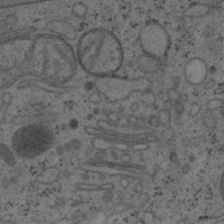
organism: Human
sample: HeLa cells